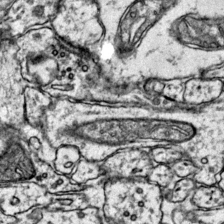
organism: Mouse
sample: Primary visual cortex